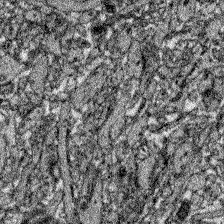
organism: Zebrafish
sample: Larval olfactory bulb